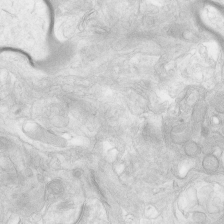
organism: Human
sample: Neocortex